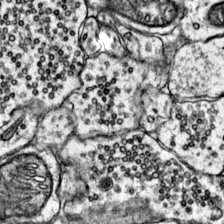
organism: Mouse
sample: Primary visual cortex